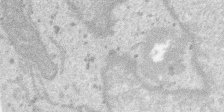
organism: Human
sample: Lung epithelial cells infected with SARS-CoV-2